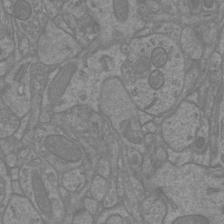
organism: Mouse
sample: Cortical neurons